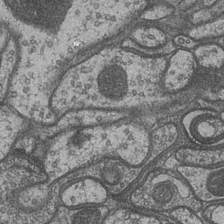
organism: Drosophila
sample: Optic medulla